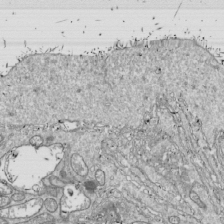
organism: Drosophila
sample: Cell division; meiosis; drosophila spermatocytes